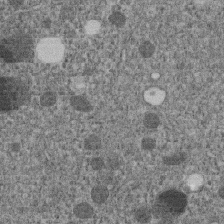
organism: C. elegans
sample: C. elegans embryo early stage